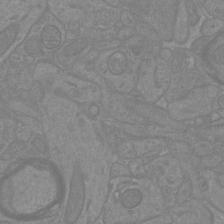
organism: Mouse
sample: Cortical neurons